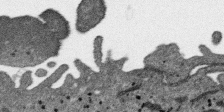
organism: Human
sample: Lung epithelial cells, uninfected (mock) control